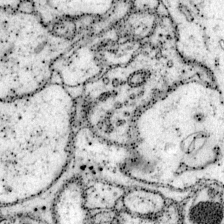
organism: Mouse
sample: Primary visual cortex